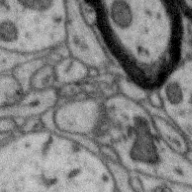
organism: Zebra finch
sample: Brain